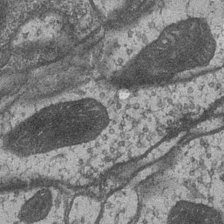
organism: Drosophila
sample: Optic medulla